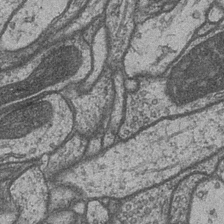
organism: Drosophila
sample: Optic medulla